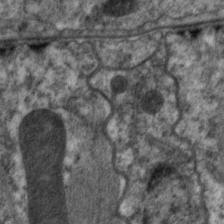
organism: C. elegans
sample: Pharynx